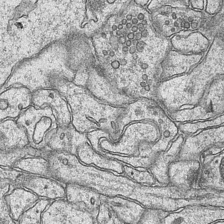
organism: Mouse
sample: CA1 Hippocampus